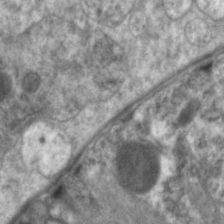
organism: C. elegans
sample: Pharynx